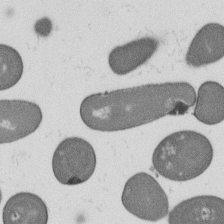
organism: B. subtilis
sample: Bacterial spore